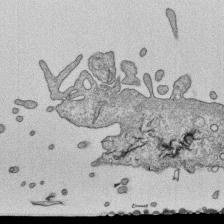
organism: Human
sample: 1205lu cells